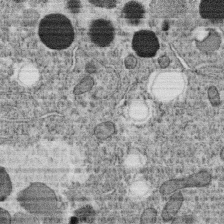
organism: C. elegans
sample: C. elegans oocyte; sperm cells